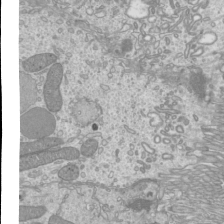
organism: Mouse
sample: Cilia; mouse epididymis